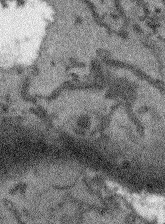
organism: Arabidopsis thaliana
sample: Root tip